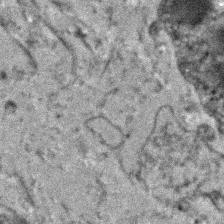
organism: Human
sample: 1205lu cells